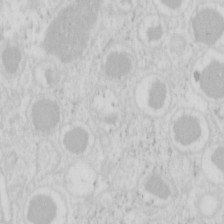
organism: Mouse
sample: Pancreas